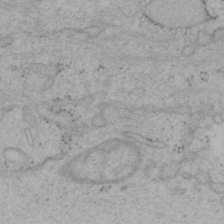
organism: Human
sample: HeLa cells